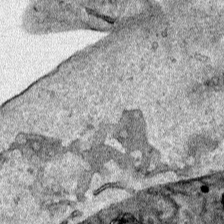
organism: Human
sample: Mitochondria in HCT116 cells